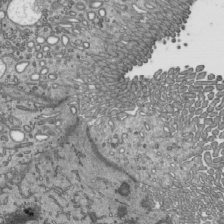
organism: Mouse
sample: Mouse epididymis efferent ductule cilia